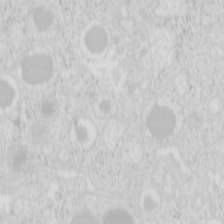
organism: Mouse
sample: Pancreas